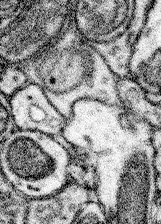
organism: Mouse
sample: Somatosensory cortex neuropil